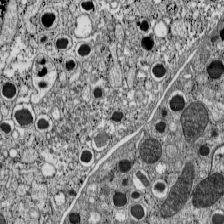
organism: C57BL Mouse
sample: Pancreatic islet